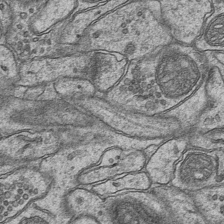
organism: Mouse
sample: CA1 Hippocampus